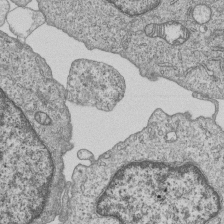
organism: Human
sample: MDA-MB-231 cells